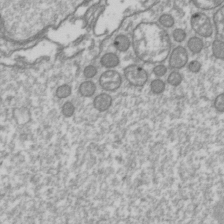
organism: Drosophila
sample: Cell division; meiosis; drosophila spermatocytes